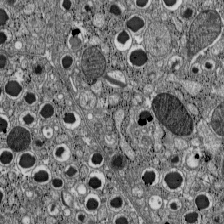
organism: C57BL Mouse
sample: Pancreatic islet